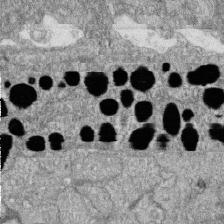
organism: Zebrafish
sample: Cilia; retinal pigment epithelium